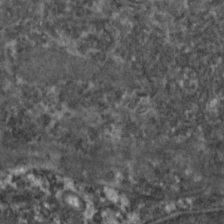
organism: Zebrafish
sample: Zebrafish embryo